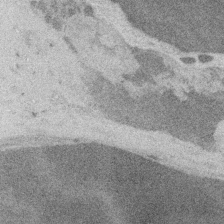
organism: Embia sp.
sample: Silk gland